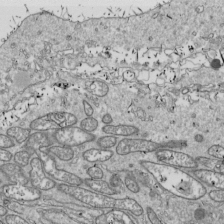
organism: Drosophila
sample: Cell division; meiosis; drosophila spermatocytes